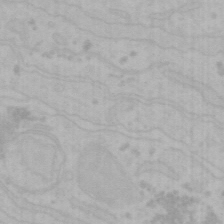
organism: Mouse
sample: Choroid plexus